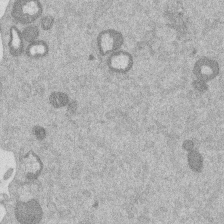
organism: Mouse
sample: Dividing mouse embryo 1 cell stage